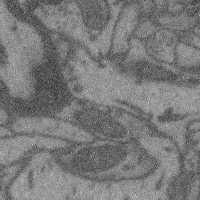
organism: Mouse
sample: Cerebral cortex